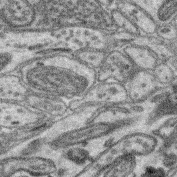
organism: Mouse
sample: Retina